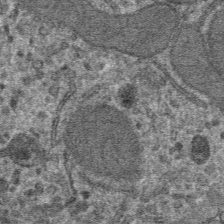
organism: Mouse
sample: Mouse hepatocytes